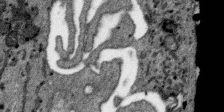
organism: Human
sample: Lung epithelial cells, uninfected (mock) control